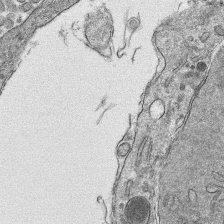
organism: Mouse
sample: Mouse hepatocytes